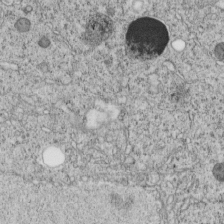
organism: C. elegans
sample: C. elegans embryo early stage